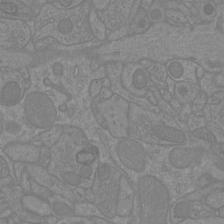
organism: Mouse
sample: Cortical neurons